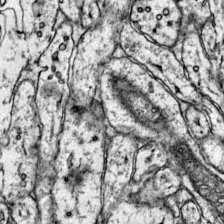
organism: Mouse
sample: Primary visual cortex